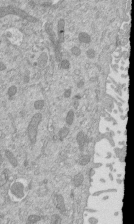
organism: Mouse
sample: ED-1 cell nuclei; centrioles